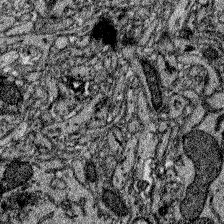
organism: Zebrafish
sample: Larval olfactory bulb